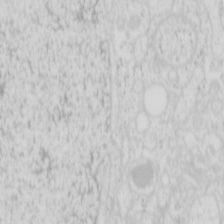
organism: Mouse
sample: Pancreas